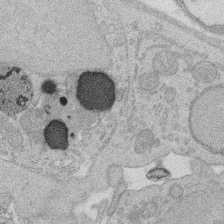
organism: Rat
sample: Salivary granule